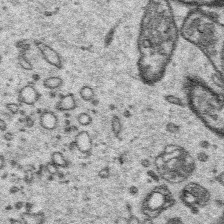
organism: Platynereis dumerilii